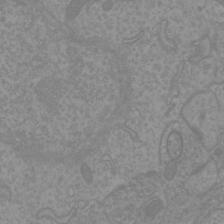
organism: Mouse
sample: Cortical neurons